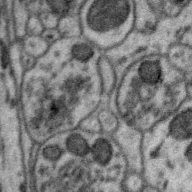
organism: Zebra finch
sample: Brain